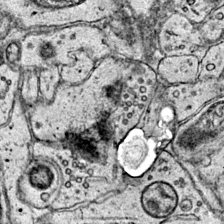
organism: Mouse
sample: Primary visual cortex